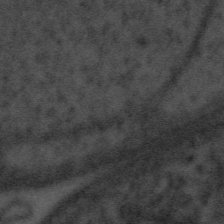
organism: Tuwongella immobilis